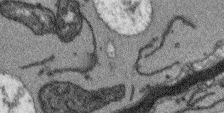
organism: Arabidopsis thaliana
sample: Root tip